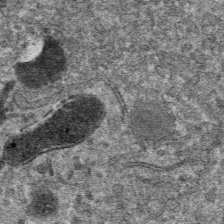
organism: Mouse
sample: Mouse hepatocytes